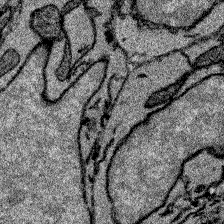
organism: Zebrafish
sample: Larval olfactory bulb